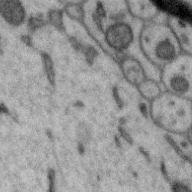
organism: Zebra finch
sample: Brain